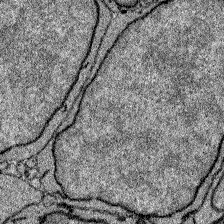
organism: Zebrafish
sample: Larval olfactory bulb